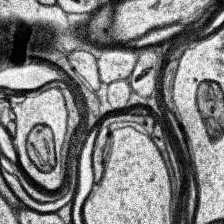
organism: Human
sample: Temporal Lobe